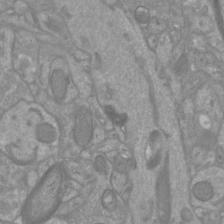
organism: Mouse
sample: Cortical neurons